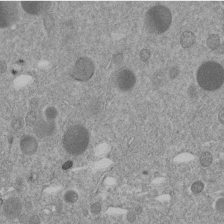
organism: C. elegans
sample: C. elegans embryo early stage